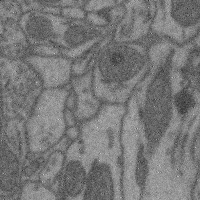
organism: Mouse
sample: Cerebral cortex